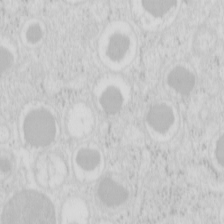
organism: Mouse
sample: Pancreas